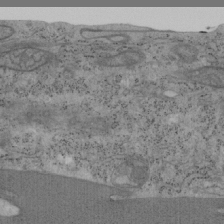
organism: Human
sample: HeLa cells